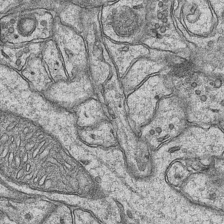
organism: Mouse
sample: CA1 Hippocampus